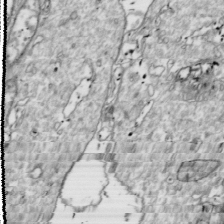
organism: Drosophila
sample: Cell division; meiosis; drosophila spermatocytes